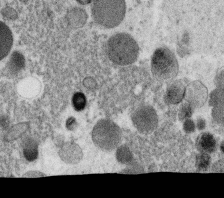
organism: C. elegans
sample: C. elegans oocyte; sperm cells